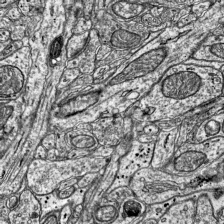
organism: Mouse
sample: Visual Cortex